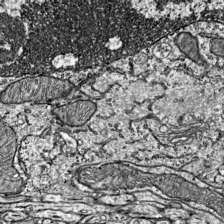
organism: Mouse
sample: Visual Cortex